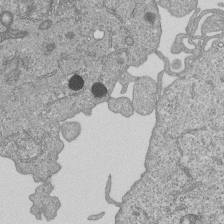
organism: Human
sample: MDA-MB-231 cells